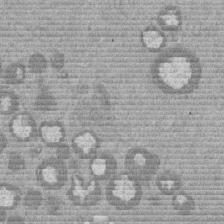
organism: Mouse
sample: Dividing mouse embryo 1 cell stage